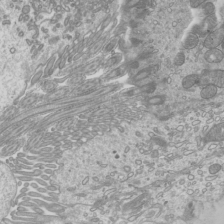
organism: Mouse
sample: Cilia; mouse epididymis